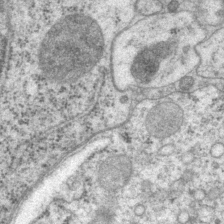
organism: P. pacificus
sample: Pharynx